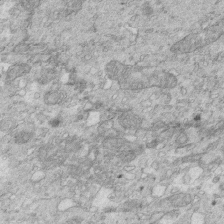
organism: Mouse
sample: Multiciliated cells